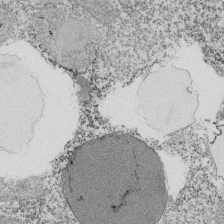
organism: Tetrahymena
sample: Cilia in tetrahymena